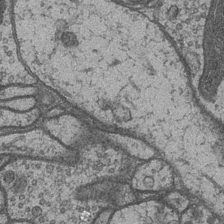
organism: Drosophila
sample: Optic medulla